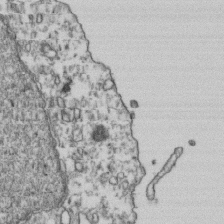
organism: Human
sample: Activated Jurkat CD4+ T cells